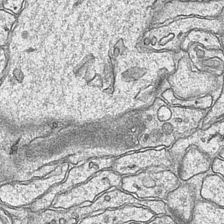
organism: Mouse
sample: CA1 Hippocampus